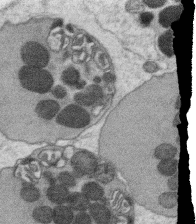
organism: C. elegans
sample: C. elegans oocyte; sperm cells